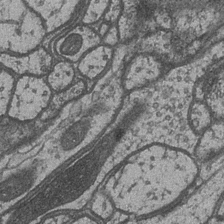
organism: Drosophila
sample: Optic medulla